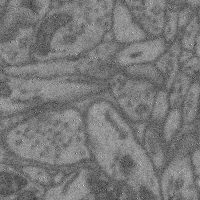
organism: Mouse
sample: Cerebral cortex